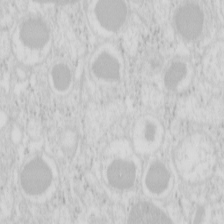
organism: Mouse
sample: Pancreas